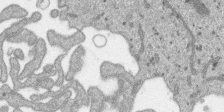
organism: Human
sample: Lung epithelial cells infected with SARS-CoV-2